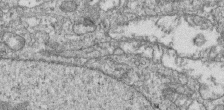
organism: Human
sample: HeLa cell HIV synapse